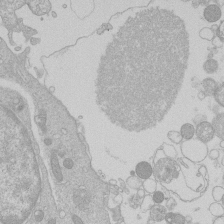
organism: Human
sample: Macrophage cells